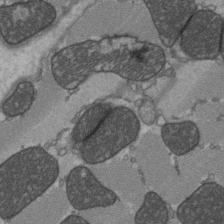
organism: C57BL Mouse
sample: Heart